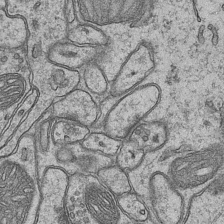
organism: Mouse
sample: CA1 Hippocampus